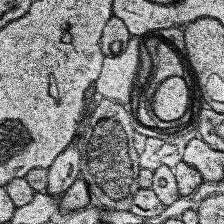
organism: Human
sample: Temporal Lobe